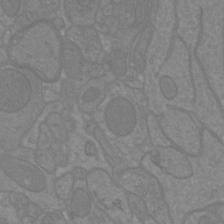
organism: Mouse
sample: Cortical neurons